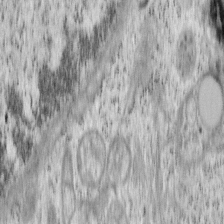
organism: Human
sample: HeLa cells